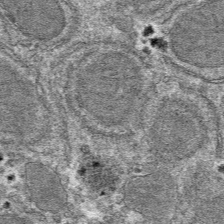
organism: Mouse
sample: Mouse hepatocytes